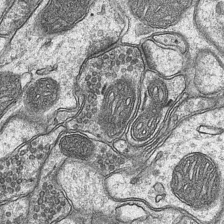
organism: Mouse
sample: CA1 Hippocampus